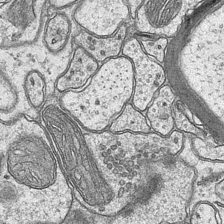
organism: Mouse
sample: CA1 Hippocampus